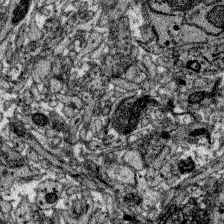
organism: Zebrafish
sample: Larval olfactory bulb